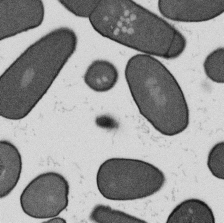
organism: B. subtilis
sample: Bacterial spore